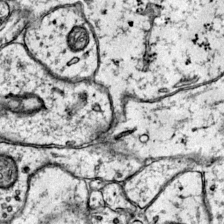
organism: Mouse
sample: Primary visual cortex